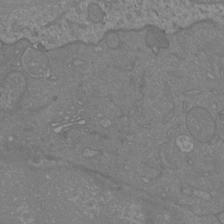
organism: Mouse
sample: Cortical neurons